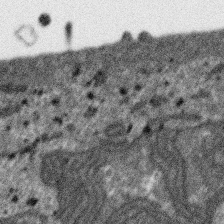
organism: Human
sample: Lung epithelial cells infected with SARS-CoV-2